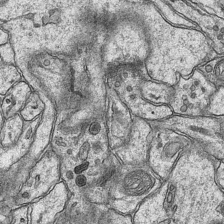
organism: Mouse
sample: CA1 Hippocampus